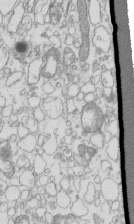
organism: Mouse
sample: Macrophages